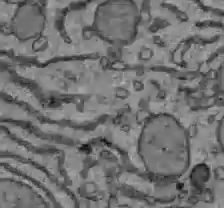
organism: C57BL Mouse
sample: Liver